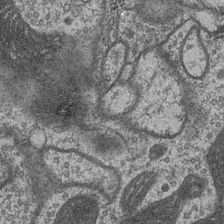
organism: Drosophila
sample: Optic medulla